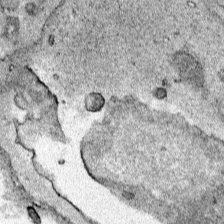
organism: Human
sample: Mitochondria in HCT116 cells